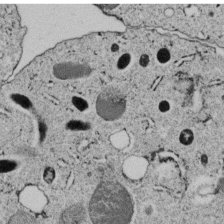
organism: C. elegans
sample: C. elegans embryo early stage